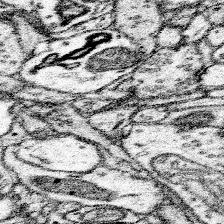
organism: Mouse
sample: Somatosensory cortex neuropil